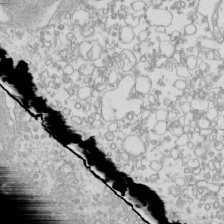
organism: Mouse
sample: Macrophages